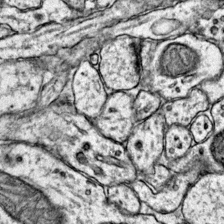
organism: Mouse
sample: Primary visual cortex